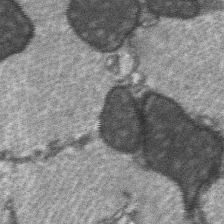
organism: C57BL Mouse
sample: Soleus